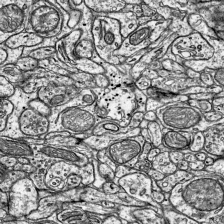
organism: Mouse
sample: Visual Cortex